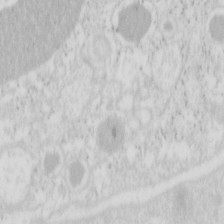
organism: Mouse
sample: Pancreas